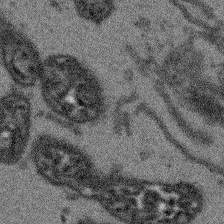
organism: Arabidopsis thaliana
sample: Root tip